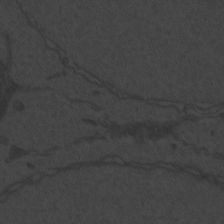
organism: Zebrafish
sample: Macrophage infected with Toxoplasma gondii